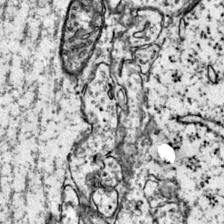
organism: Mouse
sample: Primary visual cortex